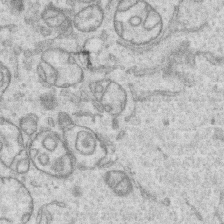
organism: Human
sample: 1205lu cells